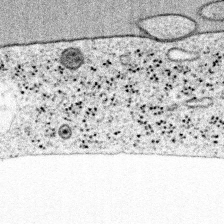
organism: Human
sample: HeLa cells